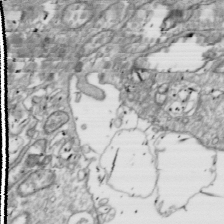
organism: Drosophila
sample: Cell division; meiosis; drosophila spermatocytes